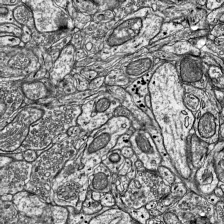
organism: Mouse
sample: Visual Cortex